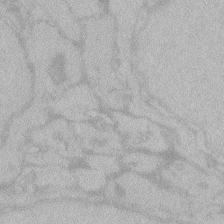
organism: Zebrafish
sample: Macrophage infected with Toxoplasma gondii